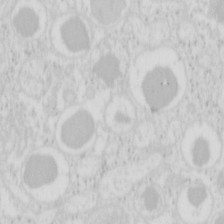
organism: Mouse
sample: Pancreas